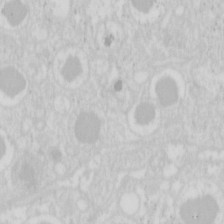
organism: Mouse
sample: Pancreas